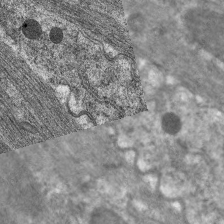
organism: C. elegans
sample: Pharynx